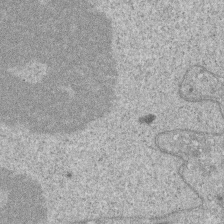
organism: Human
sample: HeLa cell HIV synapse